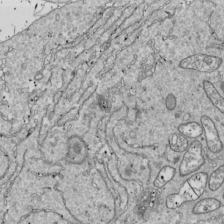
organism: Drosophila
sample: Cell division; meiosis; drosophila spermatocytes